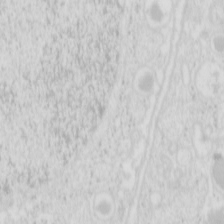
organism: Mouse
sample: Pancreas